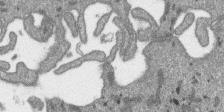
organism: Human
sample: Lung epithelial cells infected with SARS-CoV-2